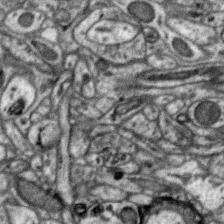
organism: Zebra finch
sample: Brain